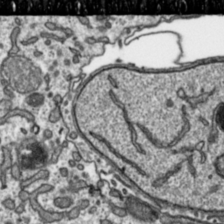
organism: Toxoplasma gondii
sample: Parasites in a vacuole inside a host cell